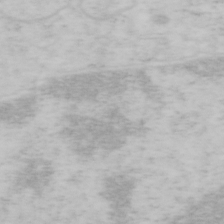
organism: Mouse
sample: OT-I killer T cells with ID8 ovarian cancer cells